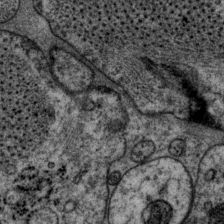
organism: P. pacificus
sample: Pharynx